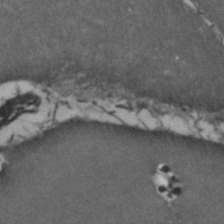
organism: Zebrafish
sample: Zebrafish embryo